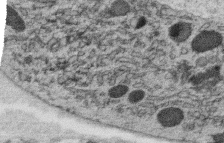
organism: C. elegans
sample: C. elegans oocyte; sperm cells